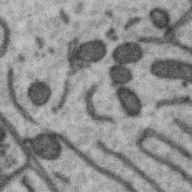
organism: Zebra finch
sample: Brain